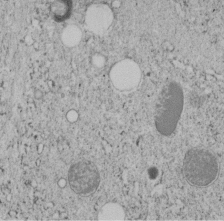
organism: C. elegans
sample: C. elegans embryo early stage